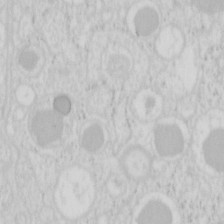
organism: Mouse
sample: Pancreas